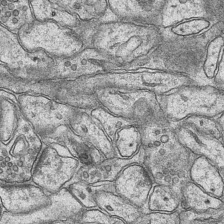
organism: Mouse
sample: CA1 Hippocampus